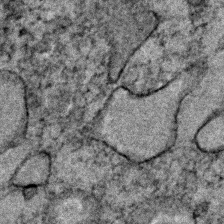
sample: Trachea